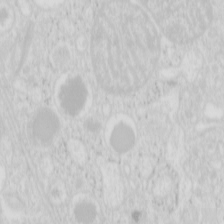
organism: Mouse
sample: Pancreas